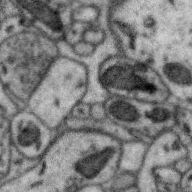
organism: Zebra finch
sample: Brain